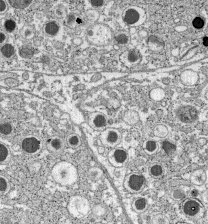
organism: C57BL Mouse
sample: Pancreatic islet